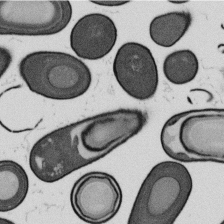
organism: B. subtilis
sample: Bacterial spore